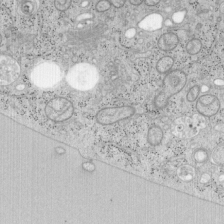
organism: Mouse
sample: OT-I killer T cells with ID8 ovarian cancer cells